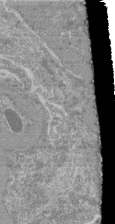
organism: Mouse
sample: Glomerulus